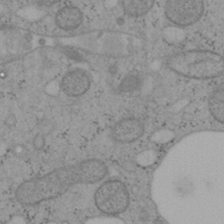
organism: Mouse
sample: OT-I killer T cells with ID8 ovarian cancer cells